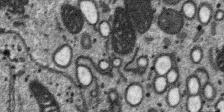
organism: Human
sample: Lung epithelial cells infected with SARS-CoV-2